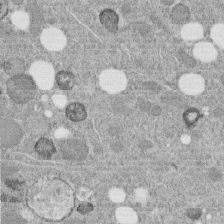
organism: C. elegans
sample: C. elegans embryo early stage